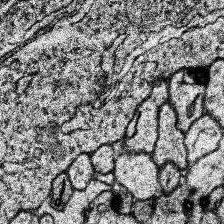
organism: Human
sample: Temporal Lobe